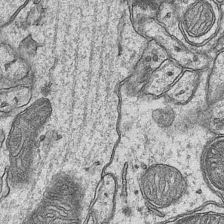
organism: Mouse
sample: CA1 Hippocampus